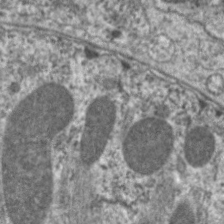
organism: C. elegans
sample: Pharynx